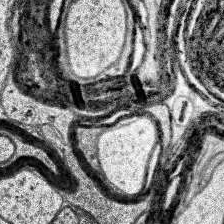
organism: Human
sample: Temporal Lobe